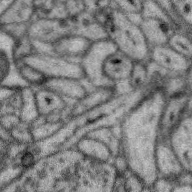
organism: Zebra finch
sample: Brain